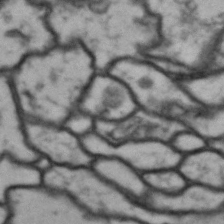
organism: Drosophila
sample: Brain